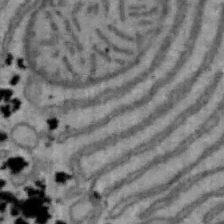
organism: Mouse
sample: Liver